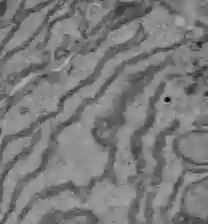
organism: C57BL Mouse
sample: Liver